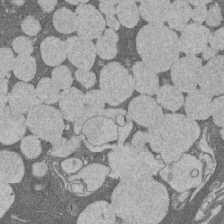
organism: Rat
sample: Salivary granule